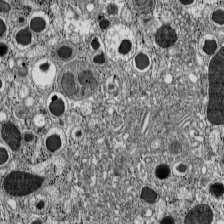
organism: C57BL Mouse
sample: Pancreatic islet